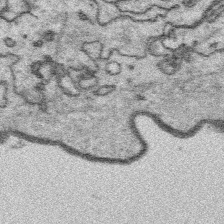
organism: Platynereis dumerilii